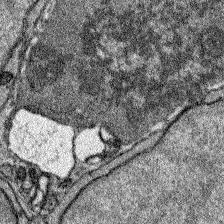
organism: Zebrafish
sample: Larval olfactory bulb